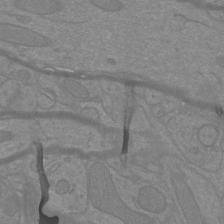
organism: Mouse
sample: Cortical neurons